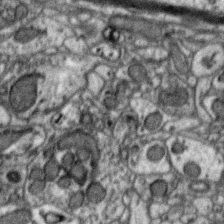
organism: Zebra finch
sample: Brain